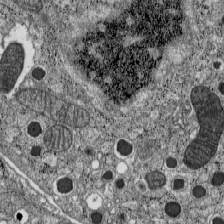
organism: C57BL Mouse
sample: Pancreatic islet